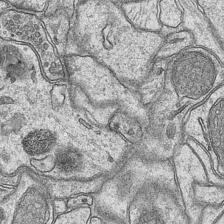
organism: Mouse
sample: CA1 Hippocampus